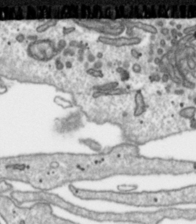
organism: Toxoplasma gondii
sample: Parasites in a vacuole inside a host cell